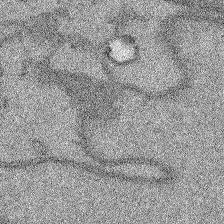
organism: Human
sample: HeLa cells